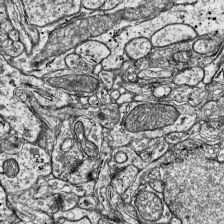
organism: Mouse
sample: Visual Cortex